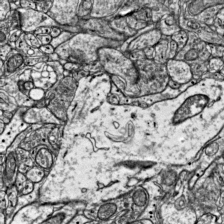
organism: Mouse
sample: Visual Cortex